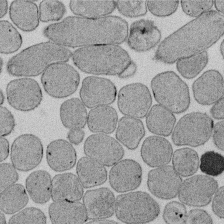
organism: E. coli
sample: Bacterial nucleoid